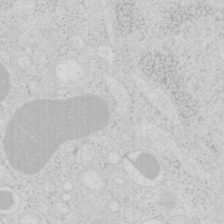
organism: Mouse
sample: Pancreas